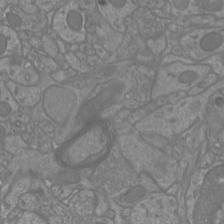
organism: Mouse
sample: Cortical neurons